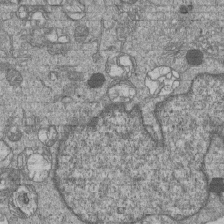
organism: Human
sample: MDA-MB-231 cells